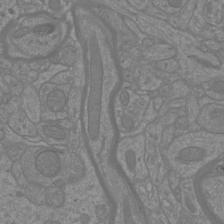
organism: Mouse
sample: Cortical neurons